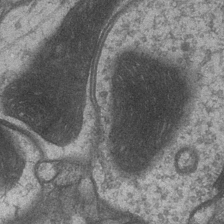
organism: Drosophila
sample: Optic medulla